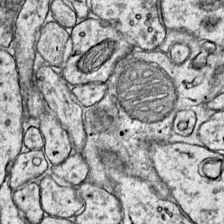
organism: Mouse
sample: Primary visual cortex